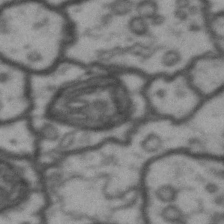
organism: Drosophila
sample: Brain